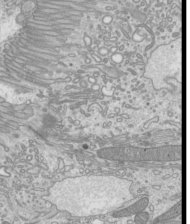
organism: Mouse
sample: Cilia; mouse epididymis